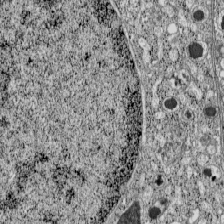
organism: C57BL Mouse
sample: Pancreatic islet